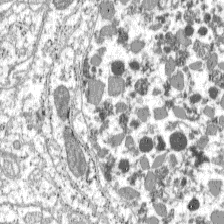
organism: C57BL Mouse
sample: Pancreatic islet